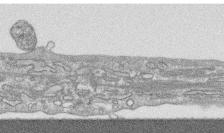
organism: Human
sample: CRL-1474